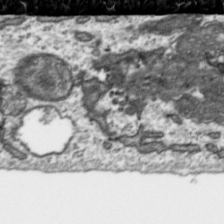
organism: Toxoplasma gondii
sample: Parasites in a vacuole inside a host cell